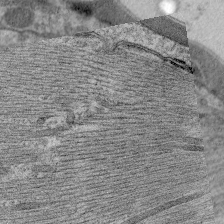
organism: C. elegans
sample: Pharynx